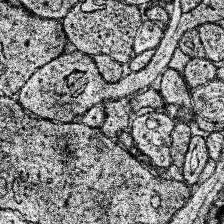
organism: Human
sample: Temporal Lobe